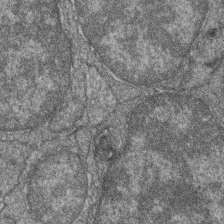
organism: Zebrafish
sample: Cilia; retinal pigment epithelium